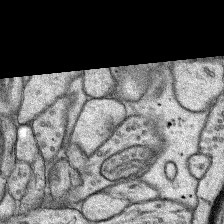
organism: Rat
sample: Hippocampus